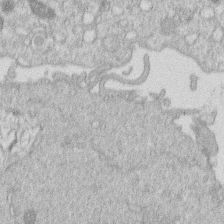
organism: Human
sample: Macrophage cells